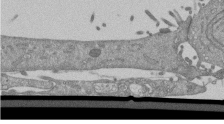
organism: Mouse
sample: ED-1 cell nuclei; centrioles